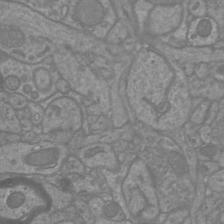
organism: Mouse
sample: Cortical neurons